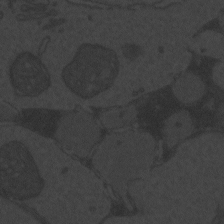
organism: Zebrafish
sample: Macrophage infected with Toxoplasma gondii